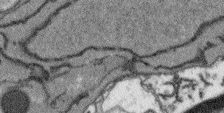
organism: Arabidopsis thaliana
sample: Root tip